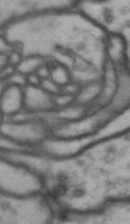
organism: Drosophila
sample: Brain